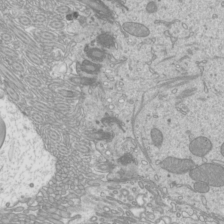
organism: Mouse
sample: Cilia; mouse epididymis